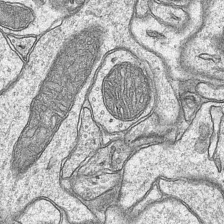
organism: Mouse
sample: CA1 Hippocampus